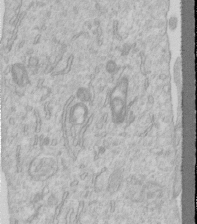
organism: Human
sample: Centriole in RPE cells